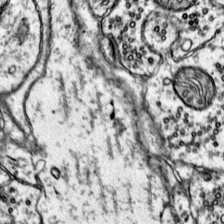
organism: Mouse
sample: Primary visual cortex